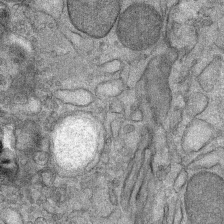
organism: Mouse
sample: Mouse Salivary gland